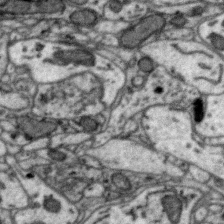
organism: Zebra finch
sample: Brain